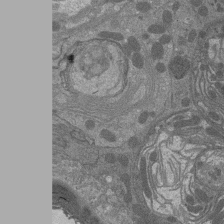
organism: Drosophila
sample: Antenna